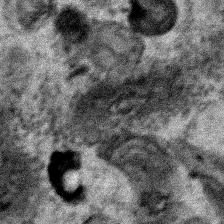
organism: Human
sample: Mitochondria in HCT116 cells